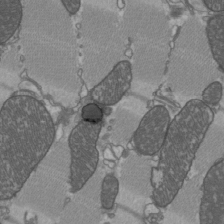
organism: C57BL Mouse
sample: Heart